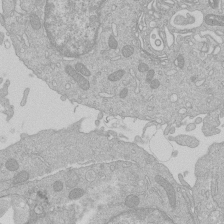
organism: Human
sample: Macrophage cells